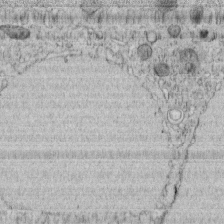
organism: C. elegans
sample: C. elegans embryo early stage